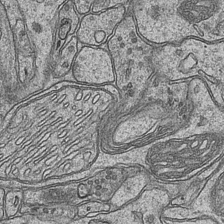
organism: Mouse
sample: CA1 Hippocampus